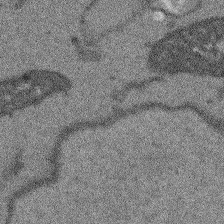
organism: Arabidopsis thaliana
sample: Root tip